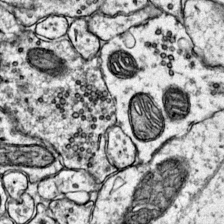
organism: Mouse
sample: Primary visual cortex